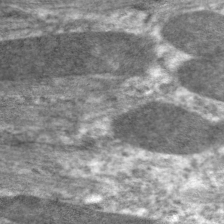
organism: C. elegans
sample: Pharynx